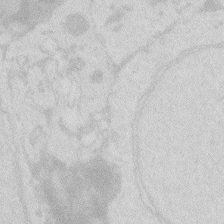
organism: Zebrafish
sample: Macrophage